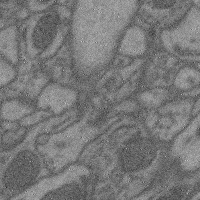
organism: Mouse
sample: Cerebral cortex